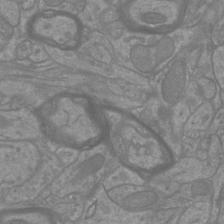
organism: Mouse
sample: Cortical neurons